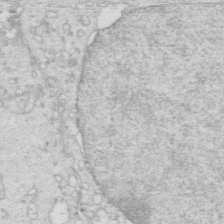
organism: Mouse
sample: Multiciliated cells